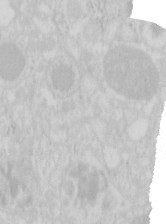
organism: Mouse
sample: Pancreas